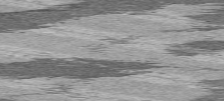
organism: C57BL Mouse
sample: Heart